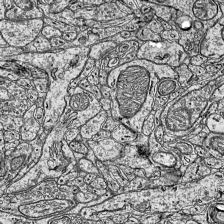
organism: Mouse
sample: Visual Cortex